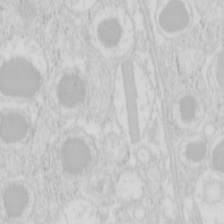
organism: Mouse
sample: Pancreas